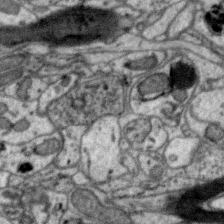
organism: Zebra finch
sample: Brain